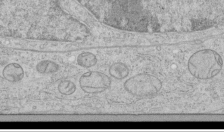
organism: Human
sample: Mitochondria in HCT116 cells